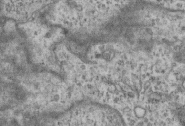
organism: Mouse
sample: Centriole in ependymal cells